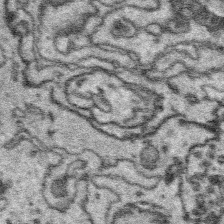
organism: Platynereis dumerilii